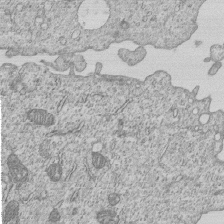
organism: Human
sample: MDA-MB-231 cells